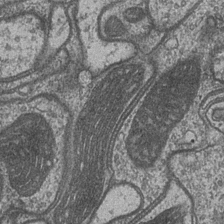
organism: Drosophila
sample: Optic medulla